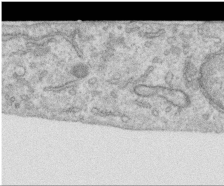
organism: Human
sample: Centriole in RPE cells